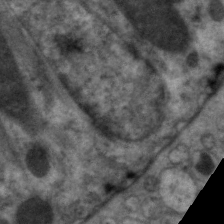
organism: C. elegans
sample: Pharynx